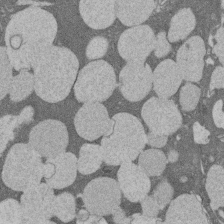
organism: Rat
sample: Salivary granule